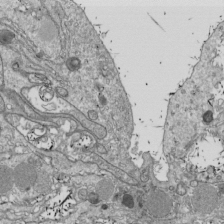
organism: Drosophila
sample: Cell division; meiosis; drosophila spermatocytes